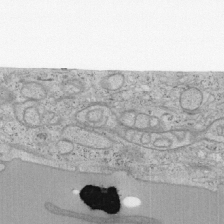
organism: Human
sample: HeLa cells